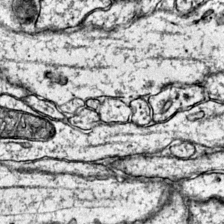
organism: Mouse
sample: Primary visual cortex